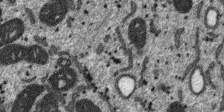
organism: Human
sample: Lung epithelial cells infected with SARS-CoV-2